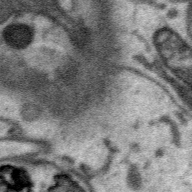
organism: Zebra finch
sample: Brain